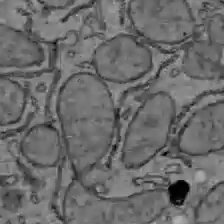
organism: C57BL Mouse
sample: Liver